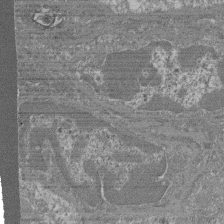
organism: Mouse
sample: Glomerulus